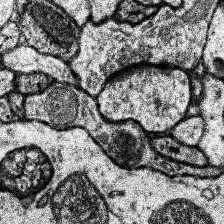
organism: Human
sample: Temporal Lobe